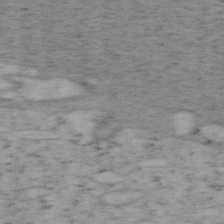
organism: Mouse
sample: OT-I killer T cells with ID8 ovarian cancer cells